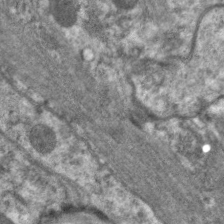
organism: C. elegans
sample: Pharynx